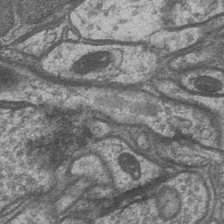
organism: Drosophila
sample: Optic medulla